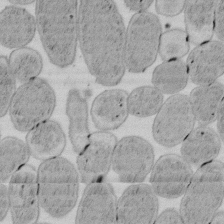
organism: E. coli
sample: Bacterial nucleoid